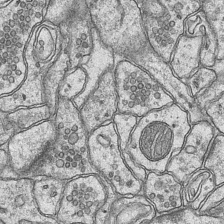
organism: Mouse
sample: CA1 Hippocampus